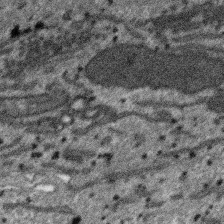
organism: Human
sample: Lung epithelial cells infected with SARS-CoV-2